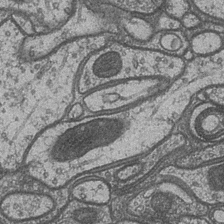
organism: Drosophila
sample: Optic medulla